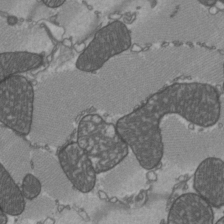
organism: C57BL Mouse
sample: Heart